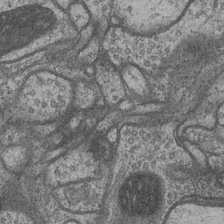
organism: Drosophila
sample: Optic medulla